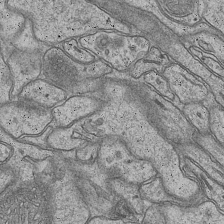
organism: Mouse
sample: CA1 Hippocampus